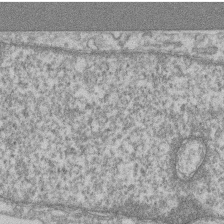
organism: Mouse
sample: T cell stromal cell synapse